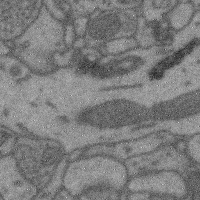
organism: Mouse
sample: Cerebral cortex